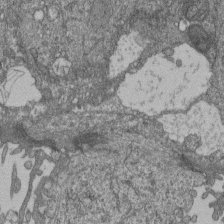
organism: Human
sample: Retinal organoid Rod and Cone cells